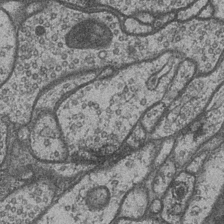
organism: Drosophila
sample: Optic medulla